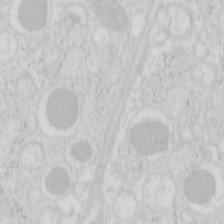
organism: Mouse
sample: Pancreas